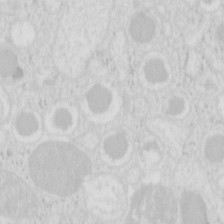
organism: Mouse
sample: Pancreas